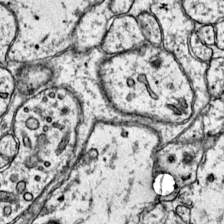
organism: Mouse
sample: Primary visual cortex